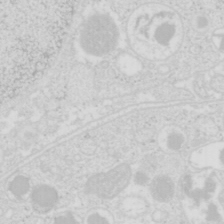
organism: Mouse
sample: Pancreas